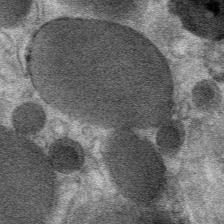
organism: Mouse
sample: Mouse Salivary gland